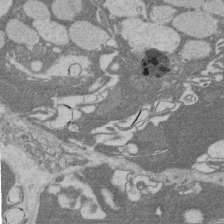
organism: Rat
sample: Salivary granule